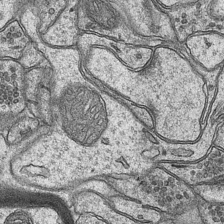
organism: Mouse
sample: CA1 Hippocampus